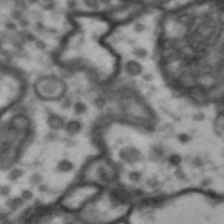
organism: Drosophila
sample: Brain